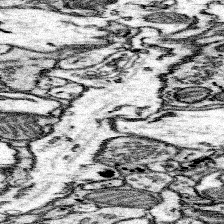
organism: Mouse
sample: Somatosensory cortex neuropil